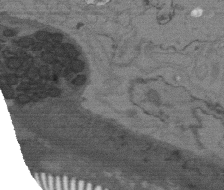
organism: C. elegans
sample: AFD neurons C. elegans